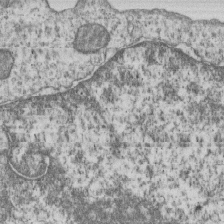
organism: Human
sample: MDA-MB-231 cells